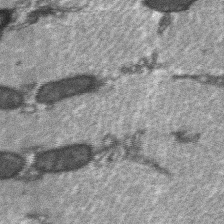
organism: C57BL Mouse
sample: Soleus